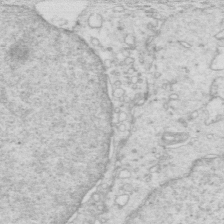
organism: Mouse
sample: Multiciliated cells